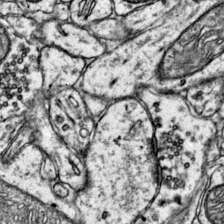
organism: Mouse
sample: Primary visual cortex